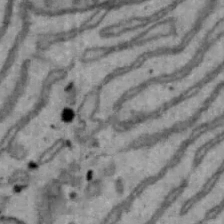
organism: Mouse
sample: Liver